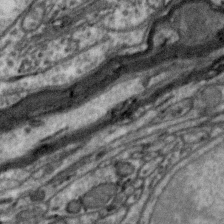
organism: Zebra finch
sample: Brain